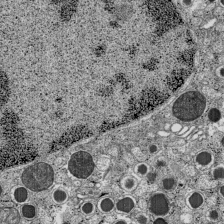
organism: C57BL Mouse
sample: Pancreatic islet